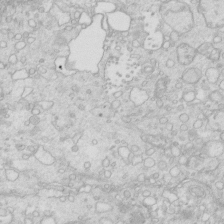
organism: Mouse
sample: Multiciliated cells